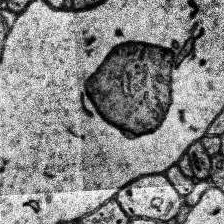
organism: Human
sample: Temporal Lobe